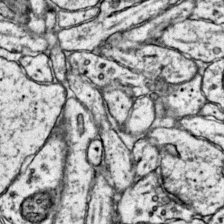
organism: Mouse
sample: Primary visual cortex